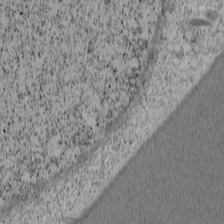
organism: African green monkey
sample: COS-7 cells